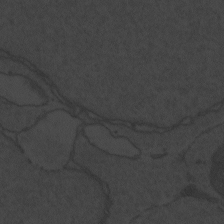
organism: Zebrafish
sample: Macrophage infected with Toxoplasma gondii